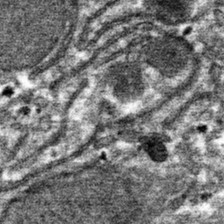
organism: Mouse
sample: Mouse hepatocytes